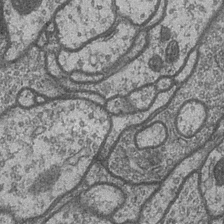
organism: Drosophila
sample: Optic medulla